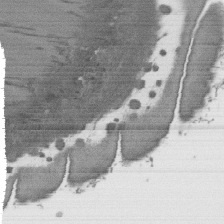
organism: C. elegans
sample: AFD neurons C. elegans